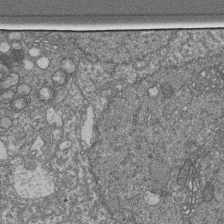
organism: Human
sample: Retinal organoid Rod and Cone cells